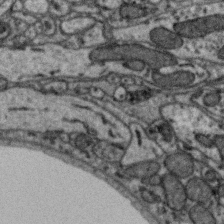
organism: Zebra finch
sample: Brain